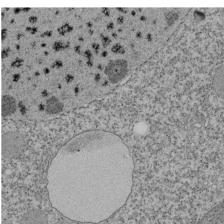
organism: Tetrahymena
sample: Cilia in tetrahymena